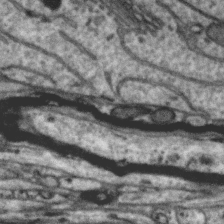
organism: Zebra finch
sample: Brain